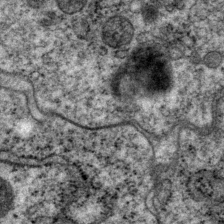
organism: P. pacificus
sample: Pharynx